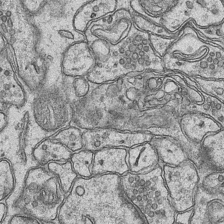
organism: Mouse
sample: CA1 Hippocampus